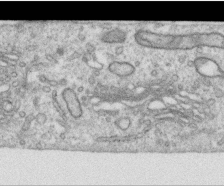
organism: Human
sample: Centriole in RPE cells